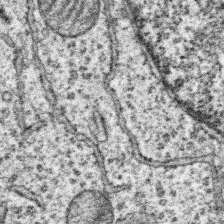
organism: Human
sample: HeLa cells